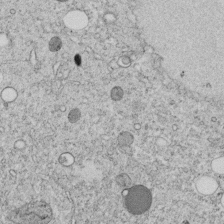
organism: C. elegans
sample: C. elegans embryo early stage